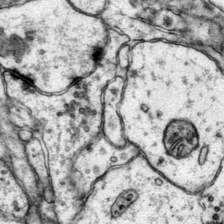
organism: Mouse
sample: Primary visual cortex